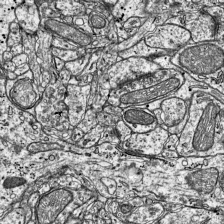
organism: Mouse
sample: Visual Cortex